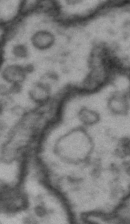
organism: Drosophila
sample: Brain